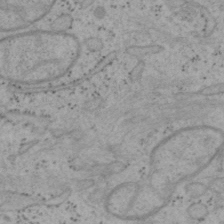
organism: Human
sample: HeLa cells